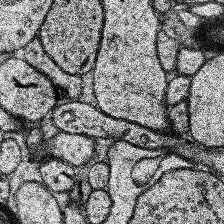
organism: Human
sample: Temporal Lobe